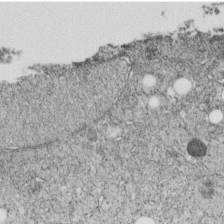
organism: C. elegans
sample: C. elegans embryo early stage